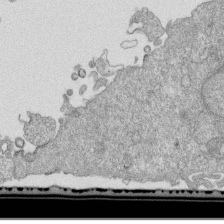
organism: Human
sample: HeLa cell HIV synapse